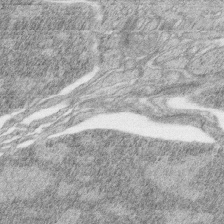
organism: Zebrafish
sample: synaptic ribbons in rod cells and cone cells